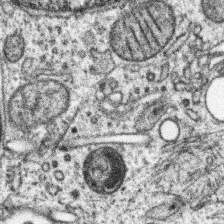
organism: Human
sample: HeLa cells